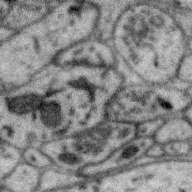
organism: Zebra finch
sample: Brain